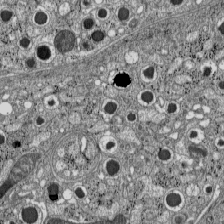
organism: C57BL Mouse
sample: Pancreatic islet